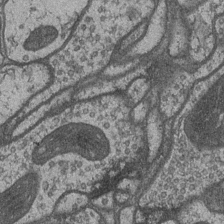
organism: Drosophila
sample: Optic medulla